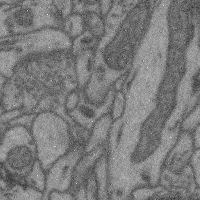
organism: Mouse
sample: Cerebral cortex